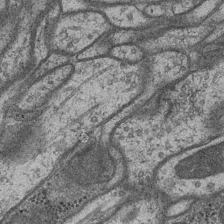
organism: Drosophila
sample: Optic medulla